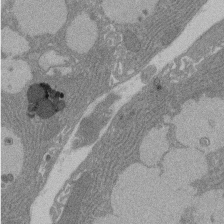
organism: Rat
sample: Salivary granule